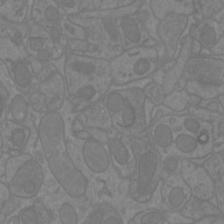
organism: Mouse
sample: Cortical neurons